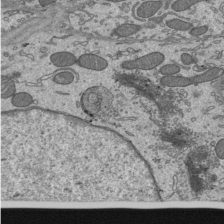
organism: Mouse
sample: Mouse epididymis efferent ductule cilia